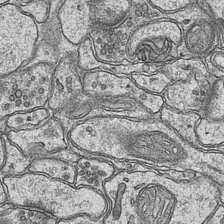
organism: Mouse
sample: CA1 Hippocampus